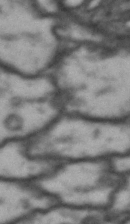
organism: Drosophila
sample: Brain